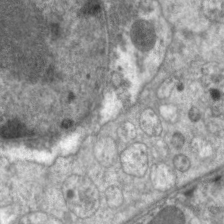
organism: C. elegans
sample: Pharynx